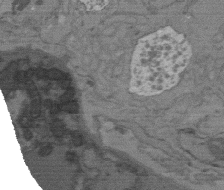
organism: C. elegans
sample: AFD neurons C. elegans